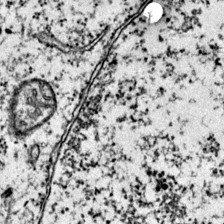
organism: Mouse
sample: Primary visual cortex